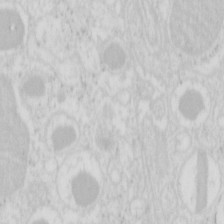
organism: Mouse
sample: Pancreas